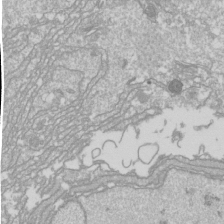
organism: Drosophila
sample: Cell division; meiosis; drosophila spermatocytes